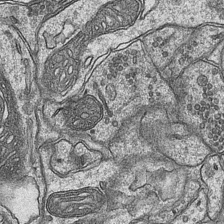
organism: Mouse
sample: CA1 Hippocampus